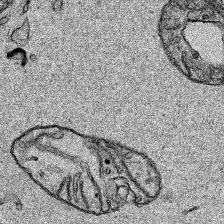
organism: Human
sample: Mitochondria in HCT116 cells